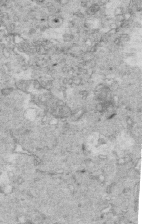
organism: Mouse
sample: Multiciliated cells